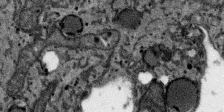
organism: Human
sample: Lung epithelial cells, uninfected (mock) control